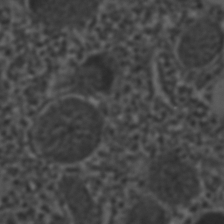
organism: C. elegans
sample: C. elegans embryo